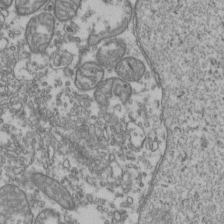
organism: Human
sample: Activated Jurkat CD4+ T cells